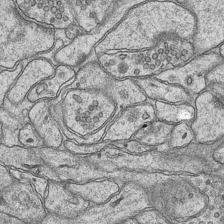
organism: Mouse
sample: CA1 Hippocampus